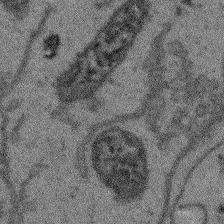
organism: Arabidopsis thaliana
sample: Root tip